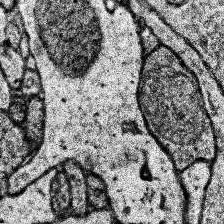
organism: Human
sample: Temporal Lobe